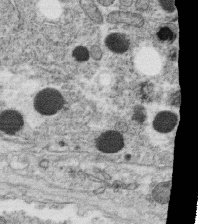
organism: C. elegans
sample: C. elegans oocyte; sperm cells